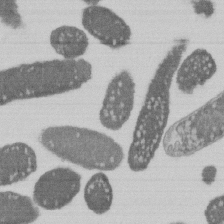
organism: E. coli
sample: Bacterial nucleoid